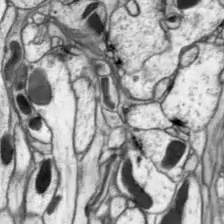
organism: Drosophila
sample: Optic lobe